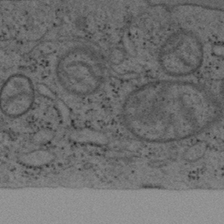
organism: Human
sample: HeLa cells